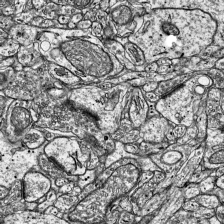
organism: Mouse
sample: Visual Cortex